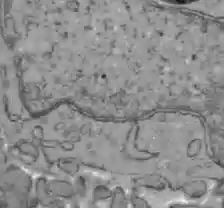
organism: C57BL Mouse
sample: Liver